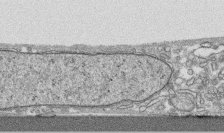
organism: Human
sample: CRL-1474